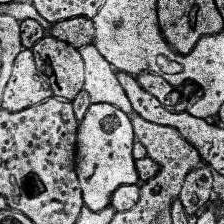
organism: Human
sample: Temporal Lobe